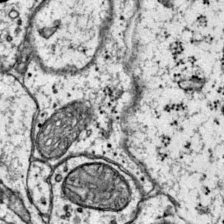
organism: Mouse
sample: Primary visual cortex